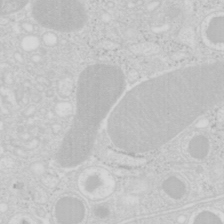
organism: Mouse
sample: Pancreas